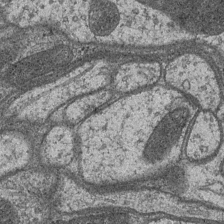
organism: Drosophila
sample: Optic medulla